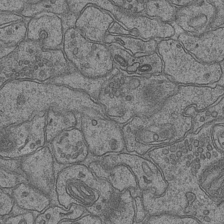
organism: Mouse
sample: CA1 Hippocampus